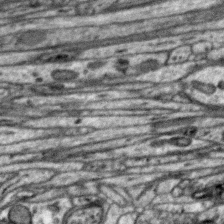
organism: Zebra finch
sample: Brain